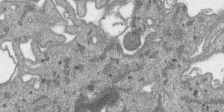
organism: Human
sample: Lung epithelial cells infected with SARS-CoV-2